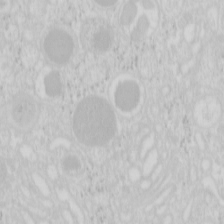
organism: Mouse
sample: Pancreas